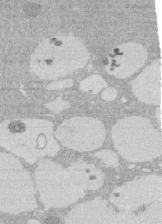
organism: Rat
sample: Salivary granule